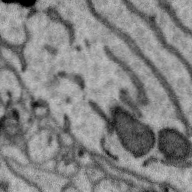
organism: Zebra finch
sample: Brain